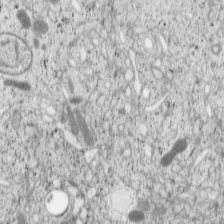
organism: African green monkey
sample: COS-7 cells